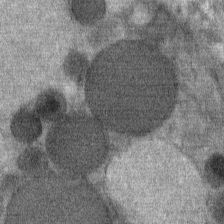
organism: Mouse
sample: Mouse Salivary gland